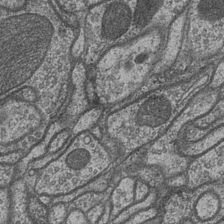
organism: Drosophila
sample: Optic medulla